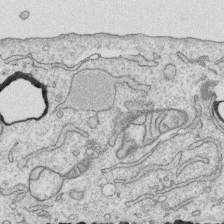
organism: Human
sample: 1205lu cells